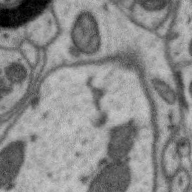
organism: Zebra finch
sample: Brain